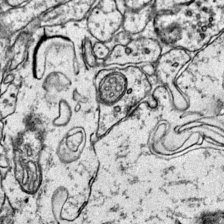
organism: Mouse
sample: Primary visual cortex